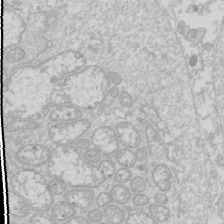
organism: Drosophila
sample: Cell division; meiosis; drosophila spermatocytes